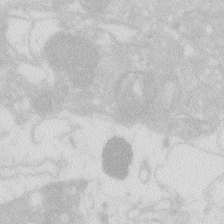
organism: Zebrafish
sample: Macrophage